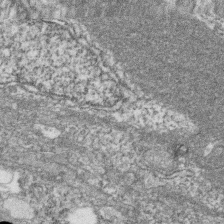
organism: Zebrafish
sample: Cilia; retinal pigment epithelium